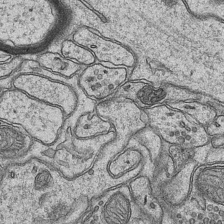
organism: Mouse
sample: CA1 Hippocampus